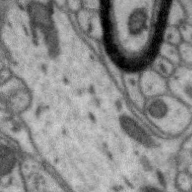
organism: Zebra finch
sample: Brain